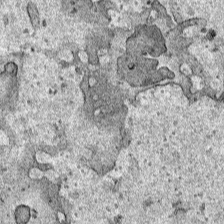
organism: Human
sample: Mitochondria in HCT116 cells